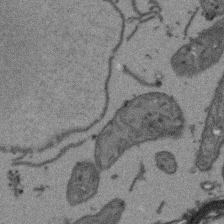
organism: Arabidopsis thaliana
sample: Root tip